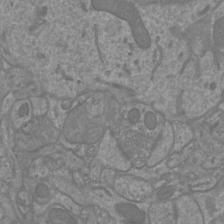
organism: Mouse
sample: Cortical neurons